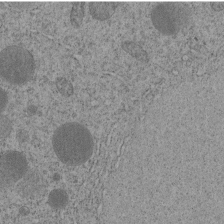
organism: C. elegans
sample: C. elegans embryo early stage